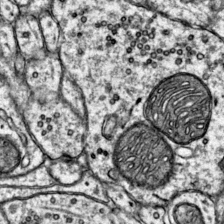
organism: Mouse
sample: Primary visual cortex